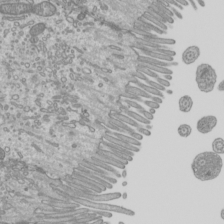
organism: Mouse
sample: Cilia; mouse epididymis